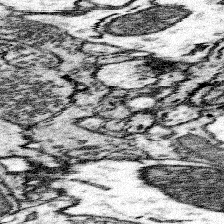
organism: Mouse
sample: Somatosensory cortex neuropil